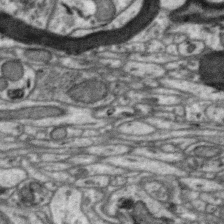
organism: Zebra finch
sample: Brain